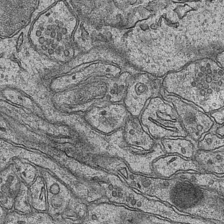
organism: Mouse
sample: CA1 Hippocampus